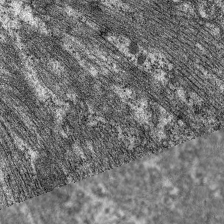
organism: C. elegans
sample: Pharynx